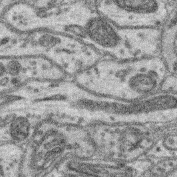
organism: Mouse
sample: Retina